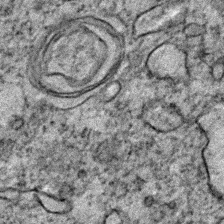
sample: Trachea